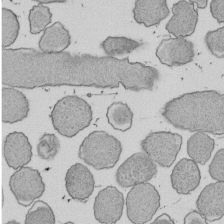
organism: E. coli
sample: Bacterial nucleoid